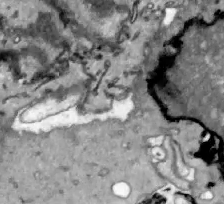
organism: Zebrafish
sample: Actinotrichia fibers